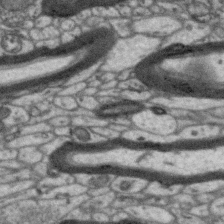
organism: Zebra finch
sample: Brain